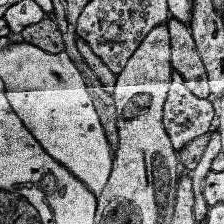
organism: Human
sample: Temporal Lobe